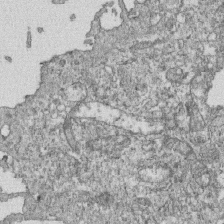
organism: Human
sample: HeLa cell HIV synapse